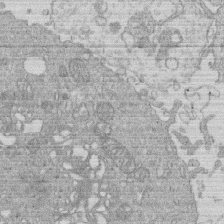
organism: Human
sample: Macrophage cells